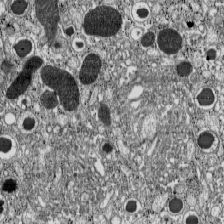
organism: C57BL Mouse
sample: Pancreatic islet